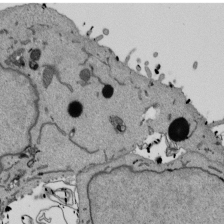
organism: Mouse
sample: ED-1 cell nuclei; centrioles